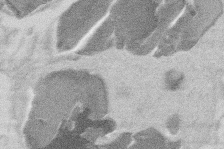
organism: Mouse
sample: T cell stromal cell synapse